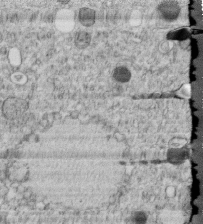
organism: C. elegans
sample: C. elegans embryo early stage